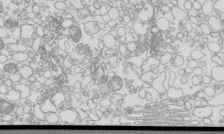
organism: Mouse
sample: Macrophages